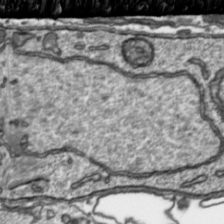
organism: Toxoplasma gondii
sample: Parasites in a vacuole inside a host cell